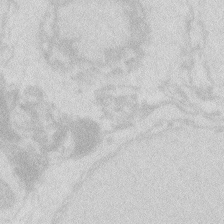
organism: Zebrafish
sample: Macrophage